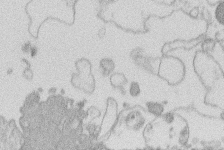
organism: Human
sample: Macrophage cells